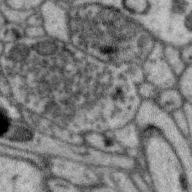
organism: Zebra finch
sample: Brain